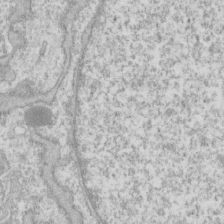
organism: Human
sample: Fibroblast cells